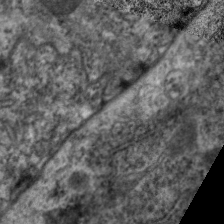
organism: C. elegans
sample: Pharynx